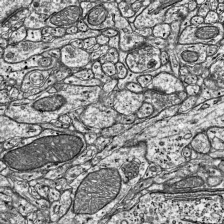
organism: Mouse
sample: Visual Cortex